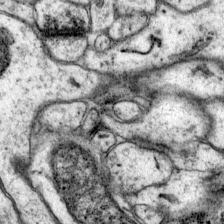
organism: Mouse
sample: Primary visual cortex